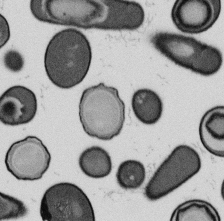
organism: B. subtilis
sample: Bacterial spore